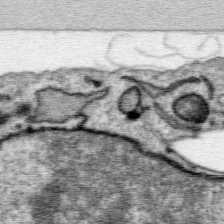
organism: Human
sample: HeLa cells